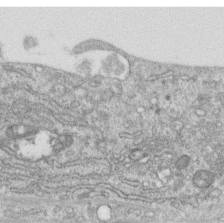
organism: Human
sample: Centriole in RPE cells